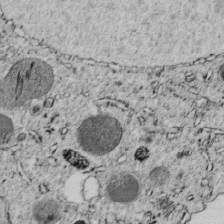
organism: C. elegans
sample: C. elegans embryo early stage